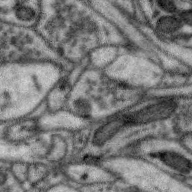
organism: Zebra finch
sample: Brain